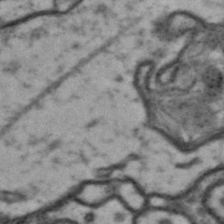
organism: Drosophila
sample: Brain